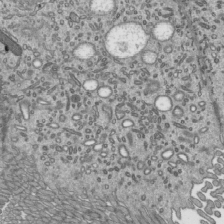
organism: Mouse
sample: Mouse epididymis efferent ductule cilia